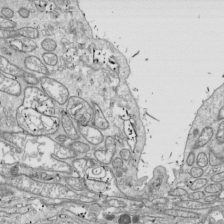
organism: Drosophila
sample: Cell division; meiosis; drosophila spermatocytes